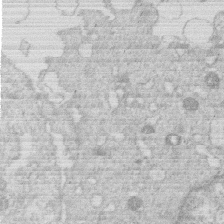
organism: Human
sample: Macrophage cells